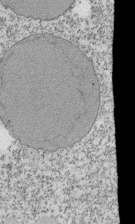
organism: Tetrahymena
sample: Cilia in tetrahymena